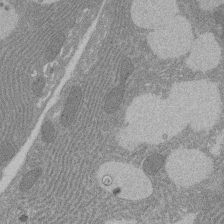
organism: Rat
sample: Salivary granule